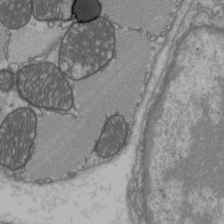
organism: C57BL Mouse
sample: Heart